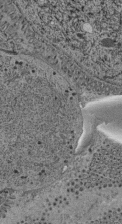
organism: C. elegans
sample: C. elegans pharynx